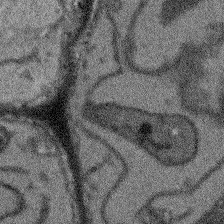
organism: Arabidopsis thaliana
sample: Root tip